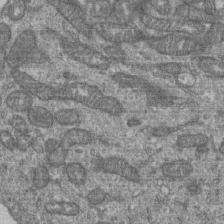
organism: Human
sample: Retinal organoid Rod and Cone cells